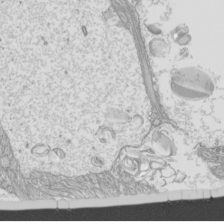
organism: Mouse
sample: Cilia; mouse epididymis